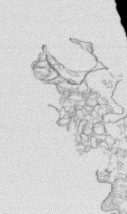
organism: Human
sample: HeLa cell HIV synapse